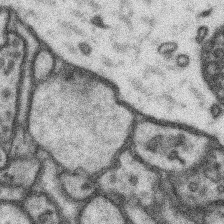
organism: Mouse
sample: Somatosensory cortex neuropil